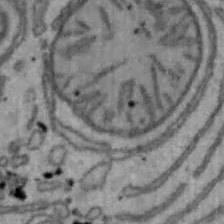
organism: Mouse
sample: Liver